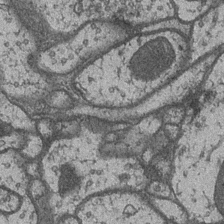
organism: Drosophila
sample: Optic medulla